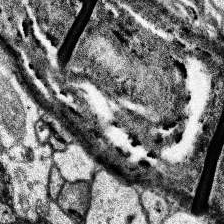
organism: Human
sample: Temporal Lobe